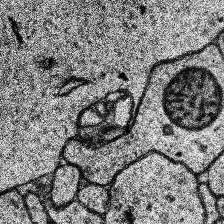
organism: Human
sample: Temporal Lobe